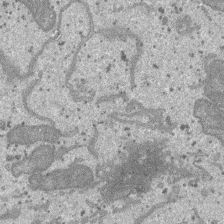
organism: Human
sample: Lung epithelial cells infected with SARS-CoV-2